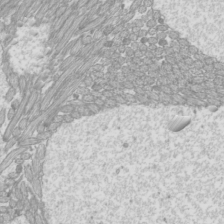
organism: Mouse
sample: Cilia; mouse epididymis